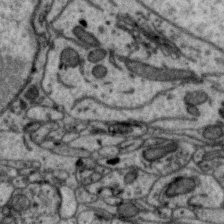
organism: Zebra finch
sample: Brain